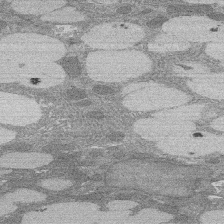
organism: Rat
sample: Salivary granule